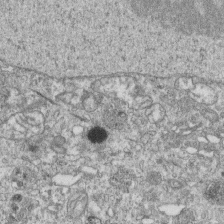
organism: Human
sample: HeLa cell HIV synapse